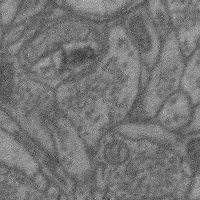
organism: Mouse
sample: Cerebral cortex